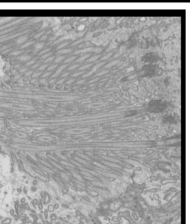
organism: Mouse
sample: Cilia; mouse epididymis